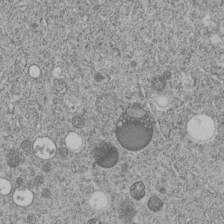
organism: C. elegans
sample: C. elegans embryo early stage